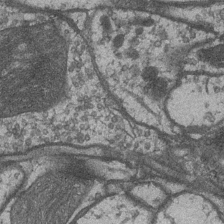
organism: Drosophila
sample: Optic medulla